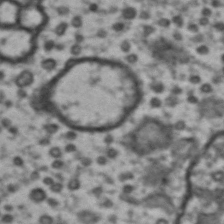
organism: Drosophila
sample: Brain